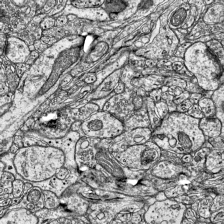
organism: Mouse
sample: Visual Cortex